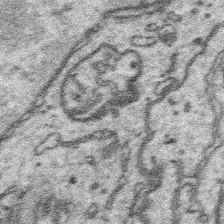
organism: Platynereis dumerilii